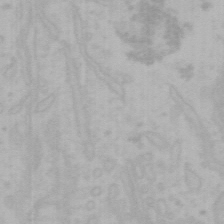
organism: Mouse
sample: Choroid plexus